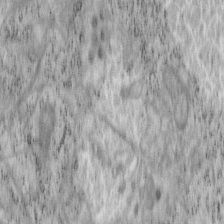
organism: Human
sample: HeLa cells